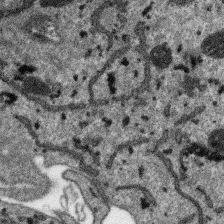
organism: Human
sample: Lung epithelial cells infected with SARS-CoV-2